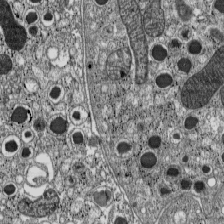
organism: C57BL Mouse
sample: Pancreatic islet